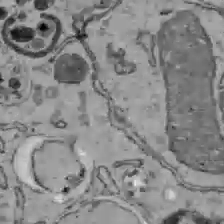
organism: C57BL Mouse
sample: Liver